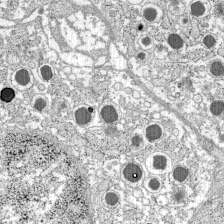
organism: C57BL Mouse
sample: Pancreatic islet